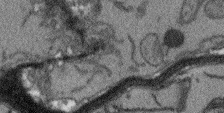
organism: Arabidopsis thaliana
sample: Root tip